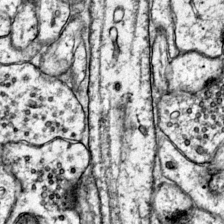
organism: Mouse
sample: Primary visual cortex